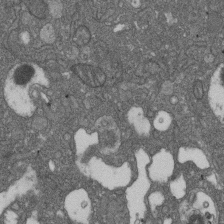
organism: Drosophila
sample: Nephrocyte